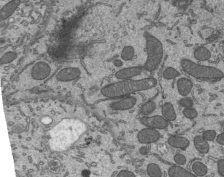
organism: Mouse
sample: Mouse epididymis efferent ductule cilia